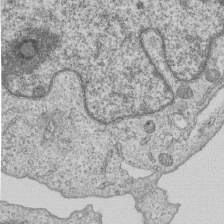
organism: Human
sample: MDA-MB-231 cells